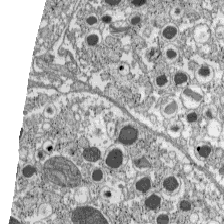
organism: C57BL Mouse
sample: Pancreatic islet